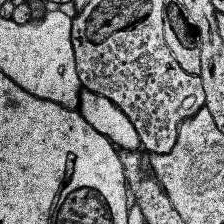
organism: Human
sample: Temporal Lobe